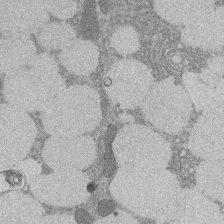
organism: Rat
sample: Salivary granule